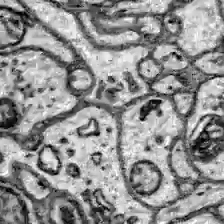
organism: Zebrafish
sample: Brain